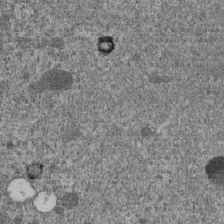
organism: C. elegans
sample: C. elegans embryo early stage